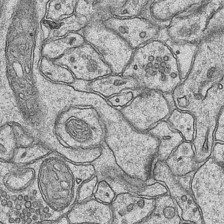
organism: Mouse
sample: CA1 Hippocampus